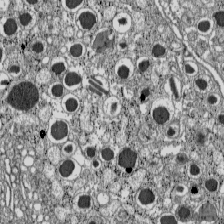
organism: C57BL Mouse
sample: Pancreatic islet